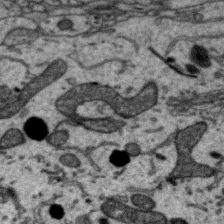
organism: Zebra finch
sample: Brain